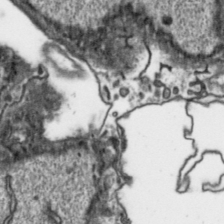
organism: Toxoplasma gondii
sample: Parasites in a vacuole inside a host cell